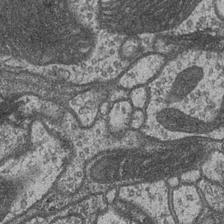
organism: Drosophila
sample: Optic medulla